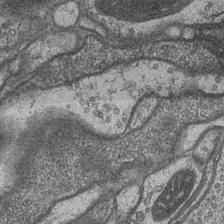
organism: Drosophila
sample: Optic medulla